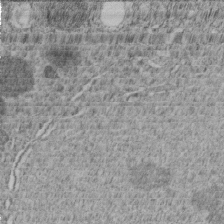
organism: C. elegans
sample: C. elegans embryo early stage